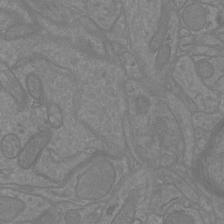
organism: Mouse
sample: Cortical neurons